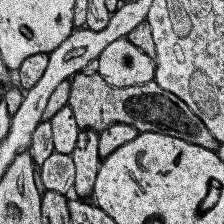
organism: Human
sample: Temporal Lobe